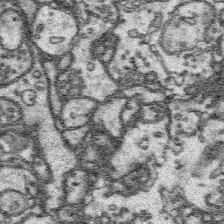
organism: Platynereis dumerilii